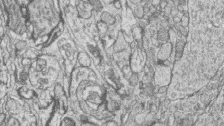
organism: Zebrafish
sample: synaptic ribbons in rod cells and cone cells